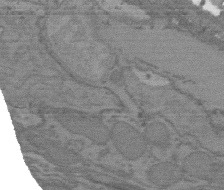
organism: C. elegans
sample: AFD neurons C. elegans